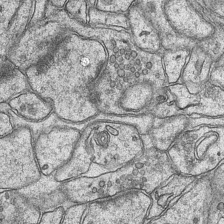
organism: Mouse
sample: CA1 Hippocampus